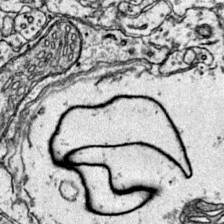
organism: Mouse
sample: Primary visual cortex